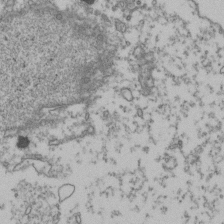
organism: Human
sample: Activated Jurkat CD4+ T cells